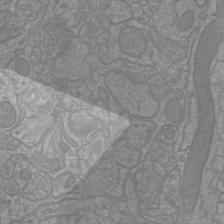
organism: Mouse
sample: Cortical neurons